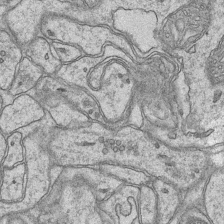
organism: Mouse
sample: CA1 Hippocampus